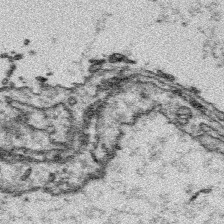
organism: Platynereis dumerilii